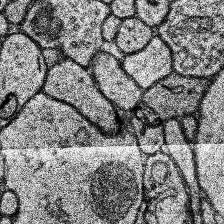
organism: Human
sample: Temporal Lobe